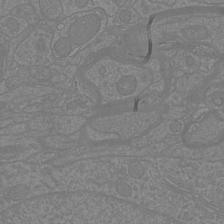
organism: Mouse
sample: Cortical neurons